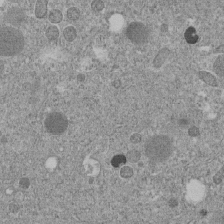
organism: C. elegans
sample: C. elegans embryo early stage